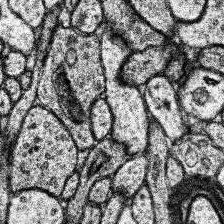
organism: Human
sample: Temporal Lobe